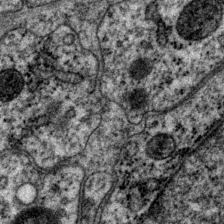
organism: P. pacificus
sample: Pharynx